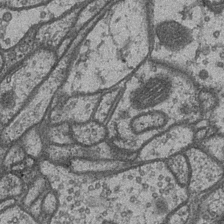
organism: Drosophila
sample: Optic medulla